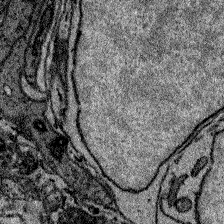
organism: Zebrafish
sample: Larval olfactory bulb